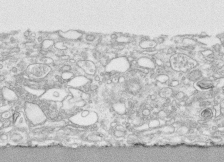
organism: Human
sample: CRL-1474